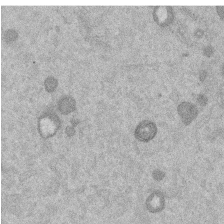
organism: Mouse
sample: Dividing mouse embryo 1 cell stage